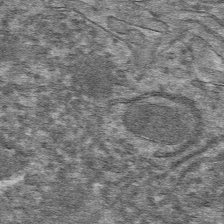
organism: Mouse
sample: Mouse hepatocytes